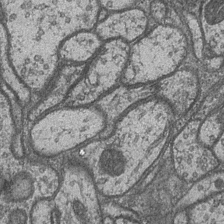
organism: Drosophila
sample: Optic medulla